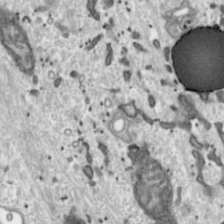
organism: Toxoplasma gondii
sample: Parasites in a vacuole inside a host cell